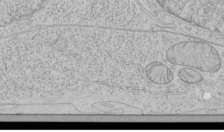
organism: Human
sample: Mitochondria in HCT116 cells